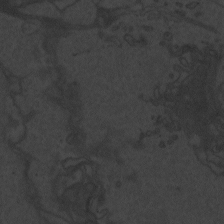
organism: Zebrafish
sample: Macrophage infected with Toxoplasma gondii